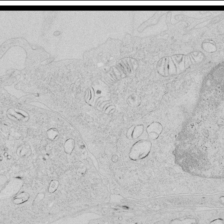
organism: Human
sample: Mitochondria in HCT116 cells